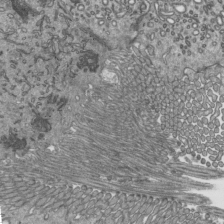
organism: Mouse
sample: Mouse epididymis efferent ductule cilia